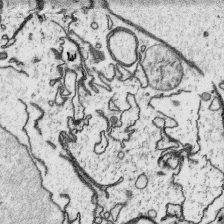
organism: Platynereis dumerilii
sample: Parapodia